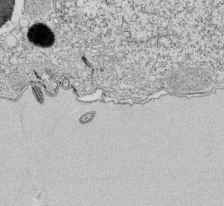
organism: Tetrahymena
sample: Cilia in tetrahymena